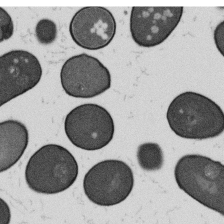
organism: B. subtilis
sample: Bacterial spore